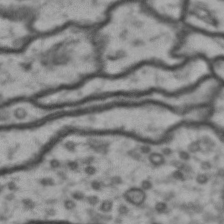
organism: Drosophila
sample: Brain